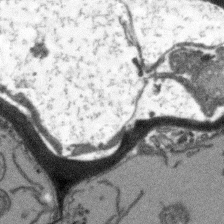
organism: Arabidopsis thaliana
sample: Root tip